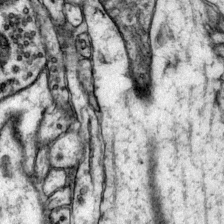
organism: Mouse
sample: Primary visual cortex